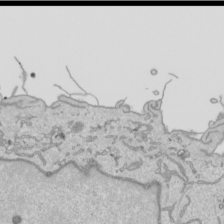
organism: Human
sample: Mitochondria in HCT116 cells